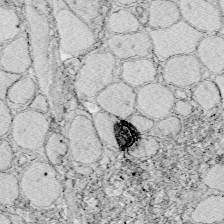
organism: Zebrafish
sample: Whole-Brain